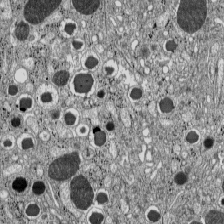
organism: C57BL Mouse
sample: Pancreatic islet